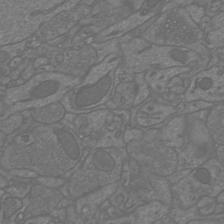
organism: Mouse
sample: Cortical neurons